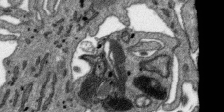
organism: Human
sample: Lung epithelial cells, uninfected (mock) control